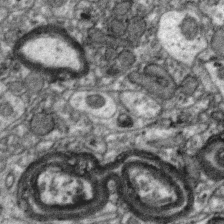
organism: Zebra finch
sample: Brain